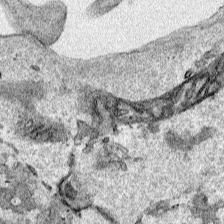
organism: Human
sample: Mitochondria in HCT116 cells